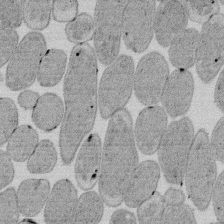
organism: E. coli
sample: Bacterial nucleoid